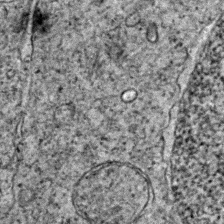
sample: Trachea